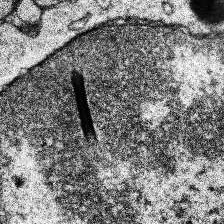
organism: Human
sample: Temporal Lobe